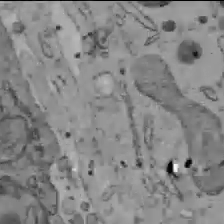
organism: C57BL Mouse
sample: Liver